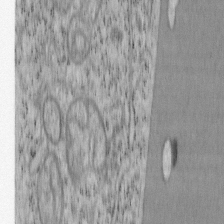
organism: Human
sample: HeLa cells